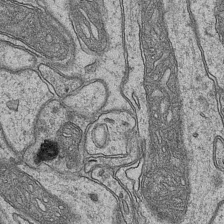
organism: Mouse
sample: CA1 Hippocampus